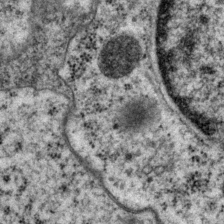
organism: P. pacificus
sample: Pharynx